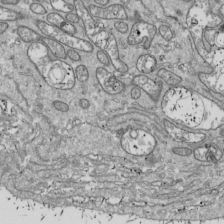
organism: Drosophila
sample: Cell division; meiosis; drosophila spermatocytes